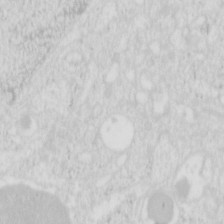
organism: Mouse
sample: Pancreas